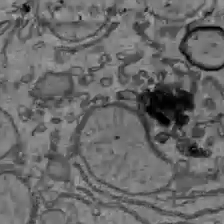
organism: C57BL Mouse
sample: Liver